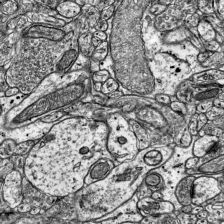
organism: Mouse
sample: Visual Cortex